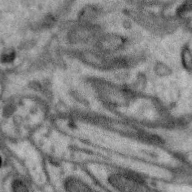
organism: Zebra finch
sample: Brain